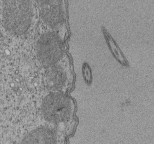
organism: Tetrahymena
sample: Cilia in tetrahymena